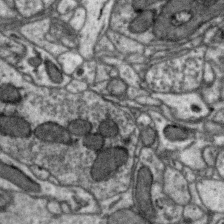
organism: Zebra finch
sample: Brain